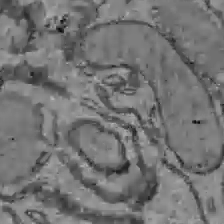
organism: C57BL Mouse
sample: Liver